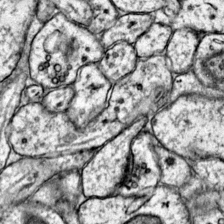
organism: Mouse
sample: Primary visual cortex